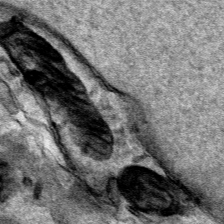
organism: Human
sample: Mitochondria in HCT116 cells